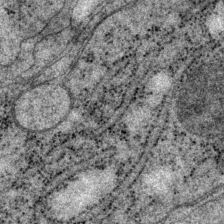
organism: P. pacificus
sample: Pharynx